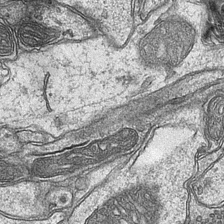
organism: Mouse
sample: CA1 Hippocampus